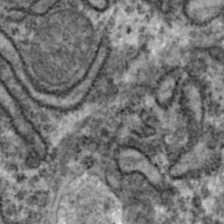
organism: Zebrafish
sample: Zebrafish embryo